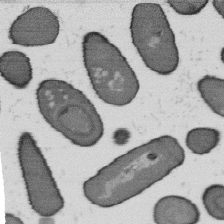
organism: B. subtilis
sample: Bacterial spore